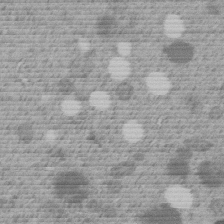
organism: C. elegans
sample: C. elegans embryo early stage